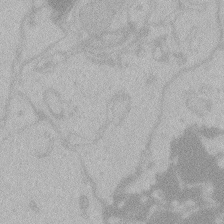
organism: Zebrafish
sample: Macrophage infected with Toxoplasma gondii